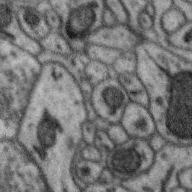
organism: Zebra finch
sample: Brain